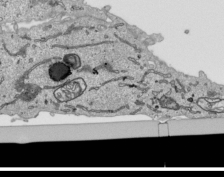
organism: Human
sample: Mitochondria in HCT116 cells